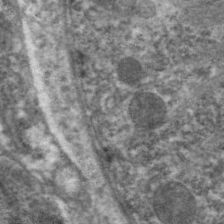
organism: C. elegans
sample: Pharynx